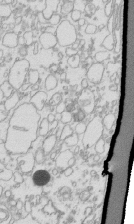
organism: Mouse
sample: Macrophages